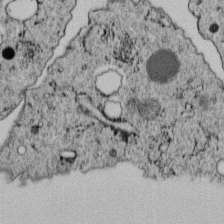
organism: C. elegans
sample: C. elegans embryo early stage